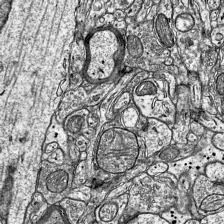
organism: Mouse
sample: Visual Cortex